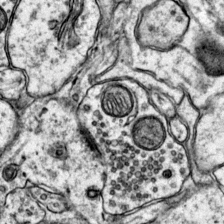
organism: Mouse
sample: Primary visual cortex